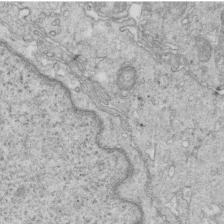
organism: Mouse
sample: Multiciliated cells